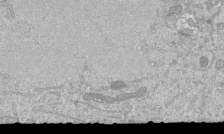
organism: Mouse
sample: ED-1 cell nuclei; centrioles